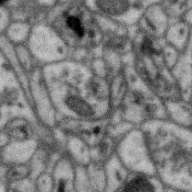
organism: Zebra finch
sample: Brain